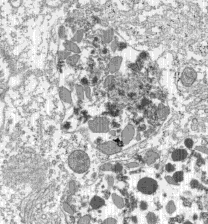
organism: C57BL Mouse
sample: Pancreatic islet